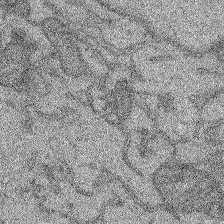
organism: Human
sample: HeLa cells